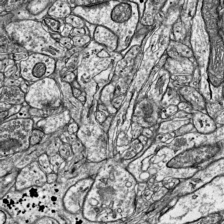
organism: Mouse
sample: Visual Cortex